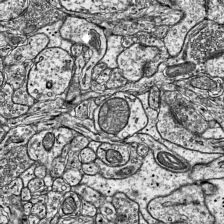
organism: Mouse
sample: Visual Cortex